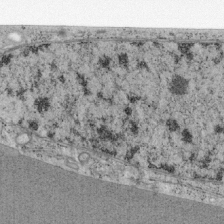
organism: Human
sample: HeLa cells